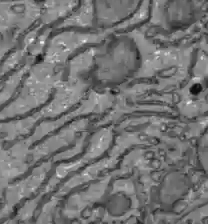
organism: C57BL Mouse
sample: Liver